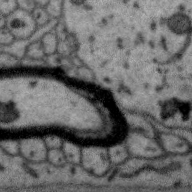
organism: Zebra finch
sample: Brain